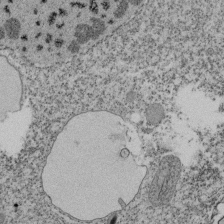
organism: Tetrahymena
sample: Cilia in tetrahymena